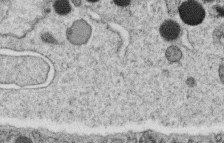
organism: C. elegans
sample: C. elegans oocyte; sperm cells